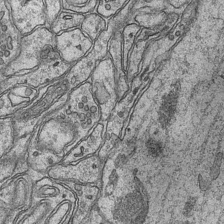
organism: Mouse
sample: CA1 Hippocampus